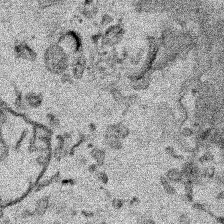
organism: Human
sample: Mitochondria in HCT116 cells